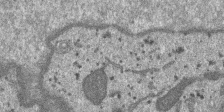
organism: Human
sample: Lung epithelial cells infected with SARS-CoV-2